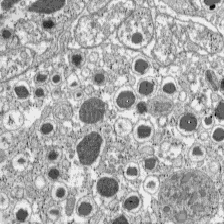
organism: C57BL Mouse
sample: Pancreatic islet